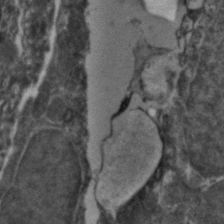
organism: Zebrafish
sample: Zebrafish embryo